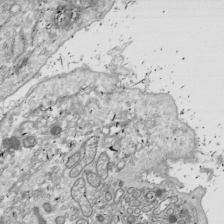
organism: Drosophila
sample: Cell division; meiosis; drosophila spermatocytes